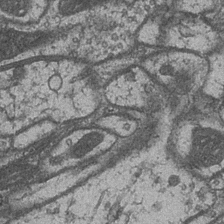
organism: Drosophila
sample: Optic medulla